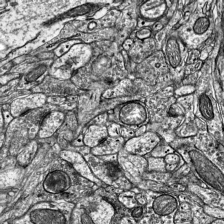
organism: Mouse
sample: Visual Cortex